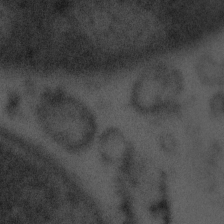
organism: Tuwongella immobilis